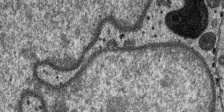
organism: Human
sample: Lung epithelial cells infected with SARS-CoV-2